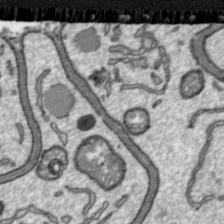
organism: Toxoplasma gondii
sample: Parasites in a vacuole inside a host cell